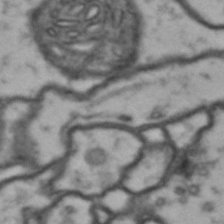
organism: Drosophila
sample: Brain